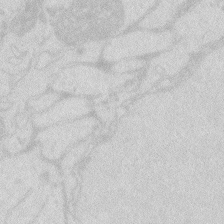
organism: Zebrafish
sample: Macrophage